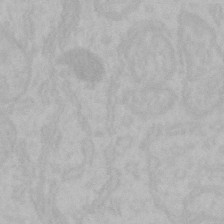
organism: Mouse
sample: Choroid plexus